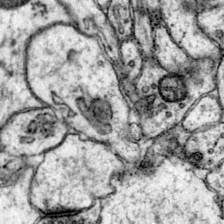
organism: Mouse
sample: Primary visual cortex